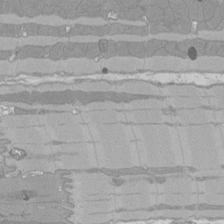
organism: Rat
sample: Left ventricle